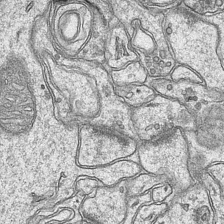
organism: Mouse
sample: CA1 Hippocampus